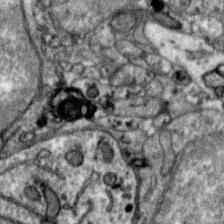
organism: Zebra finch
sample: Brain